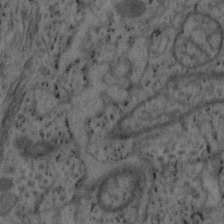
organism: Human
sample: HeLa cells